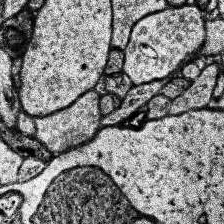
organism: Human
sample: Temporal Lobe